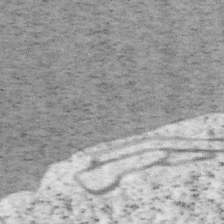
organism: Mouse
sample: OT-I killer T cells with ID8 ovarian cancer cells